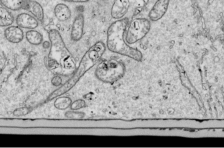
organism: Drosophila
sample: Cell division; meiosis; drosophila spermatocytes